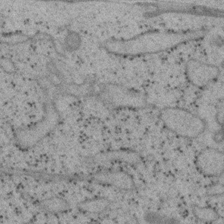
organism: Human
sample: HeLa cells